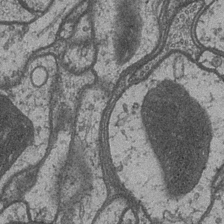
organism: Drosophila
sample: Optic medulla